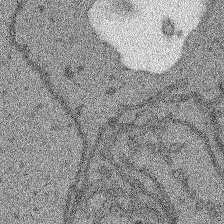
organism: Human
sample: HeLa cells